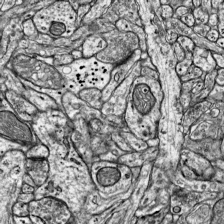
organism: Mouse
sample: Visual Cortex